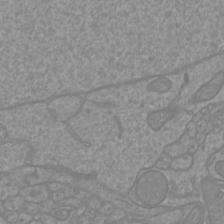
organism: Mouse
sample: Cortical neurons